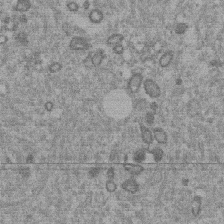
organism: Mouse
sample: Dividing mouse embryo 1 cell stage